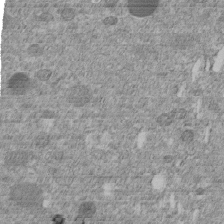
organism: C. elegans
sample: C. elegans embryo early stage